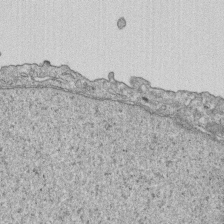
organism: Human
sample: HeLa cell HIV synapse